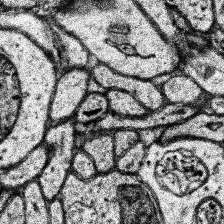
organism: Human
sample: Temporal Lobe